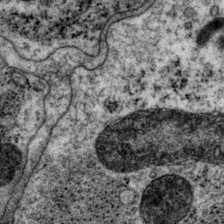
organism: P. pacificus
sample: Pharynx